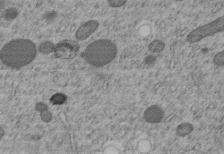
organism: C. elegans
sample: C. elegans embryo early stage